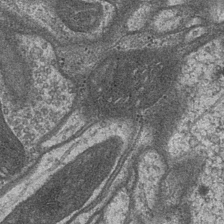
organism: Drosophila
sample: Optic medulla